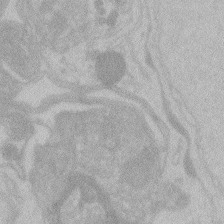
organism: Zebrafish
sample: Macrophage infected with Toxoplasma gondii